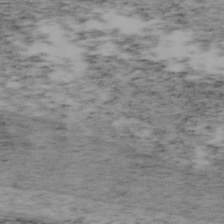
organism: Mouse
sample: OT-I killer T cells with ID8 ovarian cancer cells